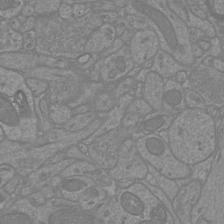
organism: Mouse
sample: Cortical neurons